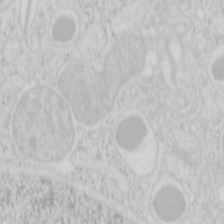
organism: Mouse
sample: Pancreas